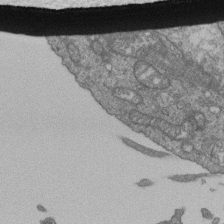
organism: Human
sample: Retinal organoid Rod and Cone cells